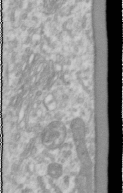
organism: Human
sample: Cilia; basal body in RPE cells